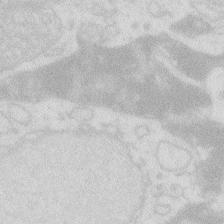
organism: Zebrafish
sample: Macrophage